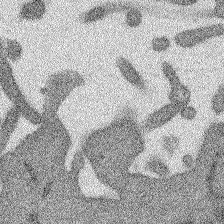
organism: Human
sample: HeLa cells